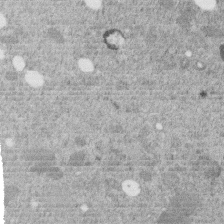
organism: C. elegans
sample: C. elegans embryo early stage